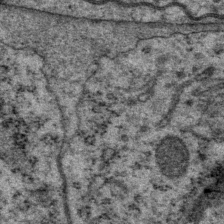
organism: P. pacificus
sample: Pharynx